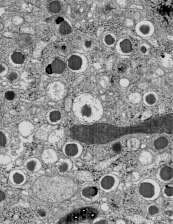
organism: C57BL Mouse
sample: Pancreatic islet